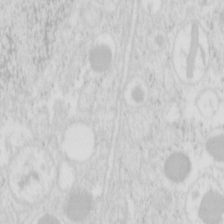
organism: Mouse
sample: Pancreas